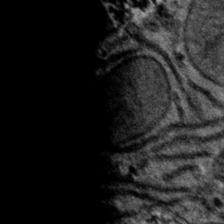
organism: Mouse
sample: Mouse hepatocytes